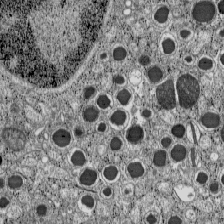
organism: C57BL Mouse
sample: Pancreatic islet